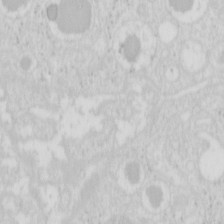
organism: Mouse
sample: Pancreas